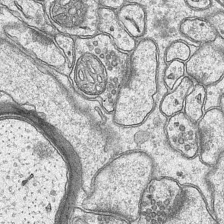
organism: Mouse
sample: CA1 Hippocampus